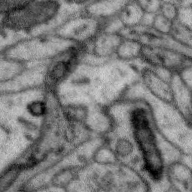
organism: Zebra finch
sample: Brain